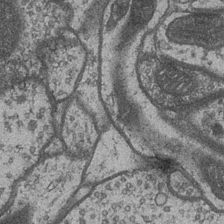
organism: Drosophila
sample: Optic medulla